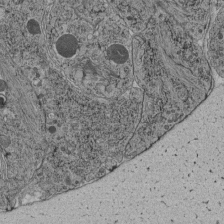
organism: C. elegans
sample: C. elegans pharynx